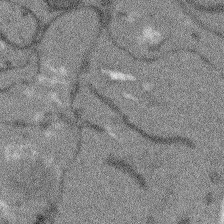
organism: Arabidopsis thaliana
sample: Root tip